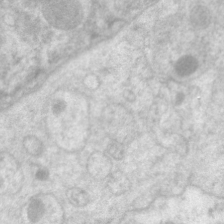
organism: C. elegans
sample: Pharynx